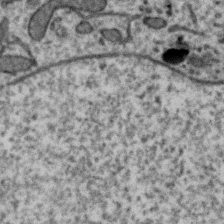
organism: Zebra finch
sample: Brain